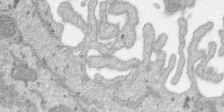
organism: Human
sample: Lung epithelial cells infected with SARS-CoV-2